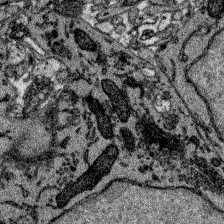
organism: Zebrafish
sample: Larval olfactory bulb